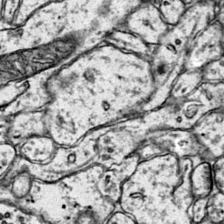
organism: Mouse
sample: Primary visual cortex